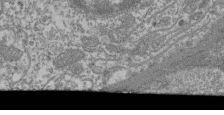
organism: Mouse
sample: Glomerulus